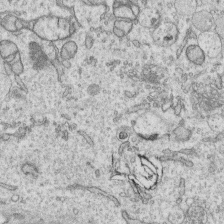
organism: Human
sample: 1205lu cells